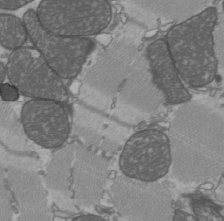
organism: C57BL Mouse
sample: Heart